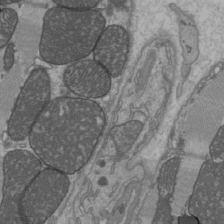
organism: C57BL Mouse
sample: Heart